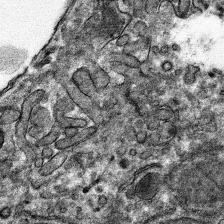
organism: Mouse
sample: Mouse hepatocytes